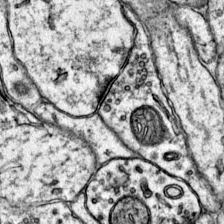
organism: Mouse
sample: Primary visual cortex